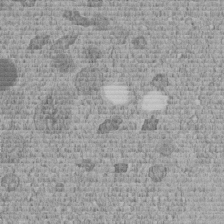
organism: C. elegans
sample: C. elegans embryo early stage